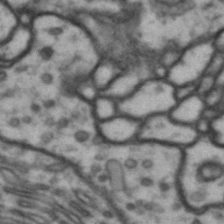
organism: Drosophila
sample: Brain